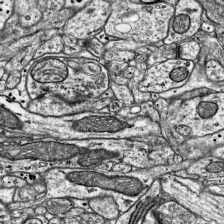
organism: Mouse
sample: Visual Cortex